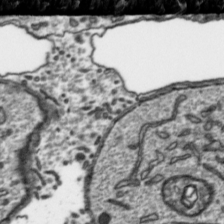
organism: Toxoplasma gondii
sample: Parasites in a vacuole inside a host cell